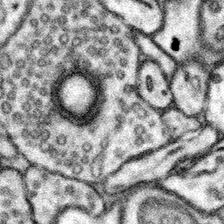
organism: Mouse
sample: Somatosensory cortex neuropil